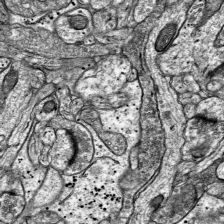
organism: Mouse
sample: Visual Cortex